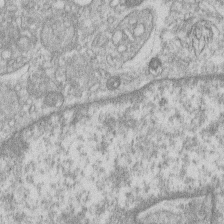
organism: Human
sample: Macrophage cells